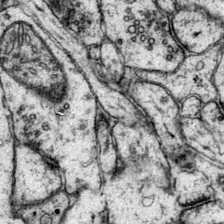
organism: Mouse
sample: Primary visual cortex